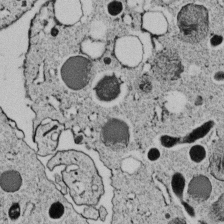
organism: C. elegans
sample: C. elegans embryo early stage